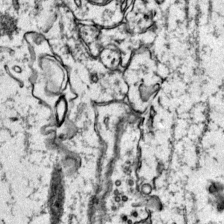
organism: Mouse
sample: Primary visual cortex